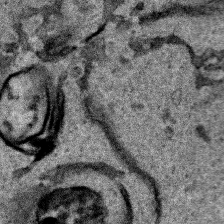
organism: Human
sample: Mitochondria in HCT116 cells